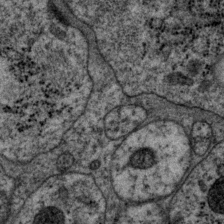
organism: P. pacificus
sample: Pharynx